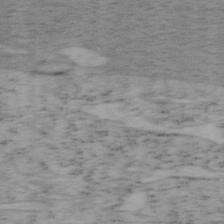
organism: Mouse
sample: OT-I killer T cells with ID8 ovarian cancer cells